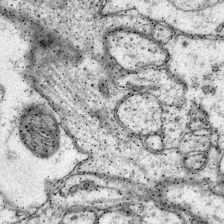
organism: Mouse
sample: Primary visual cortex